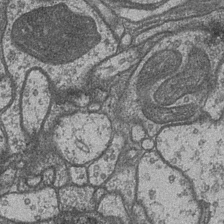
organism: Drosophila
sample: Optic medulla